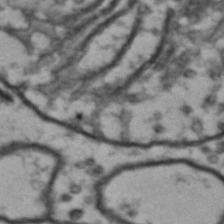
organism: Drosophila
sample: Brain